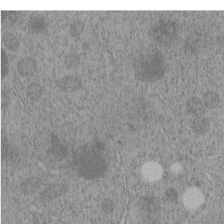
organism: C. elegans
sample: C. elegans embryo early stage